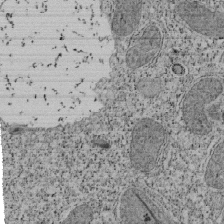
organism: Tetrahymena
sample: Cilia in tetrahymena